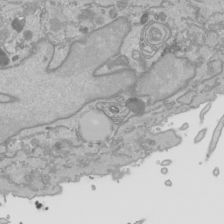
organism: Human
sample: Mitochondria in HCT116 cells